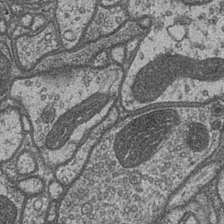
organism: Drosophila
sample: Optic medulla